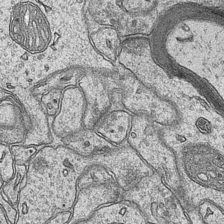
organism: Mouse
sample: CA1 Hippocampus